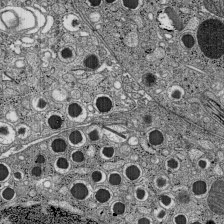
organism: C57BL Mouse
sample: Pancreatic islet